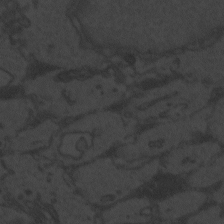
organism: Zebrafish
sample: Macrophage infected with Toxoplasma gondii